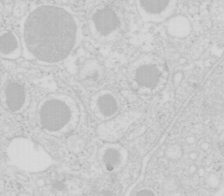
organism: Mouse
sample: Pancreas